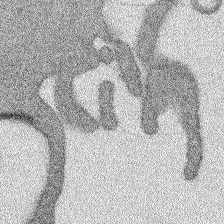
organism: Human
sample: HeLa cells